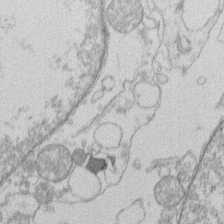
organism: Human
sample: Macrophage cells